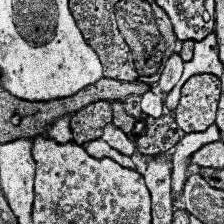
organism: Human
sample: Temporal Lobe